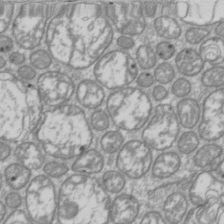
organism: Drosophila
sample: Cell division; meiosis; drosophila spermatocytes